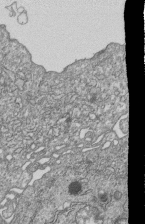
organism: Human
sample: MDA-MB-231 cells